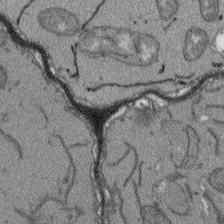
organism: Arabidopsis thaliana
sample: Root tip